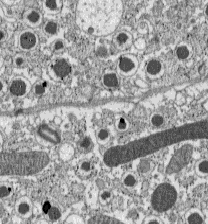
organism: C57BL Mouse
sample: Pancreatic islet